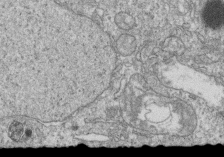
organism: Human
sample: HeLa cell HIV synapse